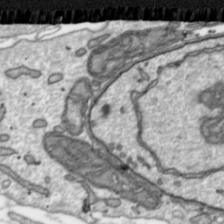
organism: Toxoplasma gondii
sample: Parasites in a vacuole inside a host cell